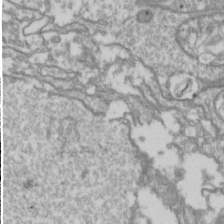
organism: Drosophila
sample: Cell division; meiosis; drosophila spermatocytes